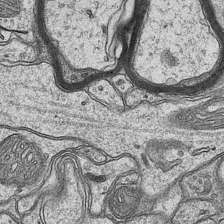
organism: Mouse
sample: CA1 Hippocampus